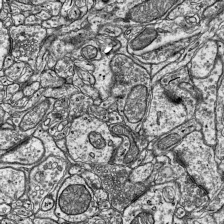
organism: Mouse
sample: Visual Cortex